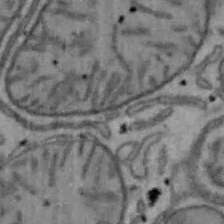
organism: Mouse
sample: Liver